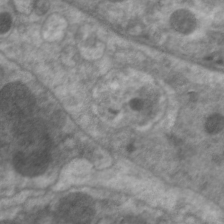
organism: C. elegans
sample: Pharynx